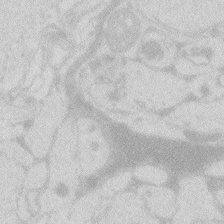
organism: Zebrafish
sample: Macrophage